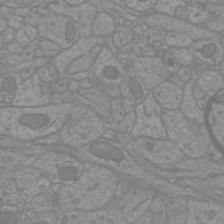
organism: Mouse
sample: Cortical neurons